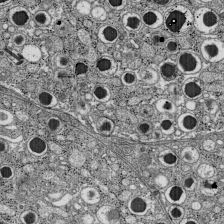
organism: C57BL Mouse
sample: Pancreatic islet